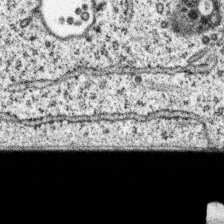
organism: Human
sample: HeLa cells